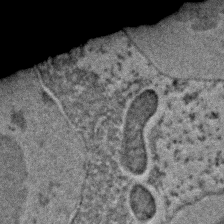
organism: C. elegans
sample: C. elegans embryo